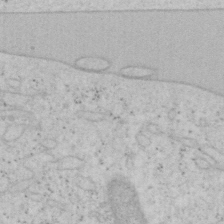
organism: Human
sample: HeLa cells